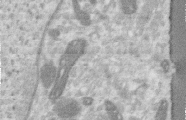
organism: Human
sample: Centriole in RPE cells